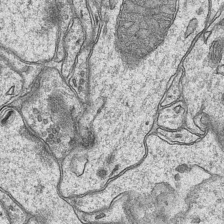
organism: Mouse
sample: CA1 Hippocampus